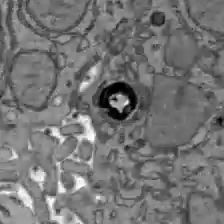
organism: C57BL Mouse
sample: Liver